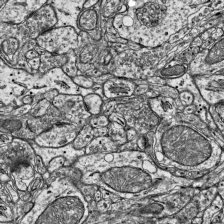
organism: Mouse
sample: Visual Cortex